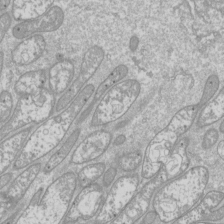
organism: Drosophila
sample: Cell division; meiosis; drosophila spermatocytes